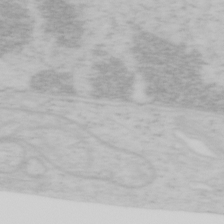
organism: Mouse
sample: OT-I killer T cells with ID8 ovarian cancer cells